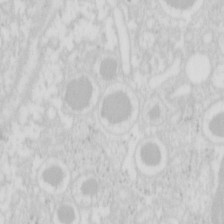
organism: Mouse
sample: Pancreas